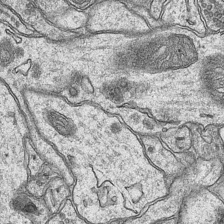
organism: Mouse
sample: CA1 Hippocampus